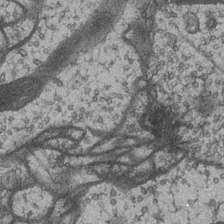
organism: Drosophila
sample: Optic medulla